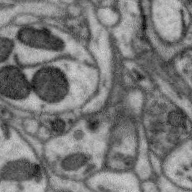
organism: Zebra finch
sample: Brain